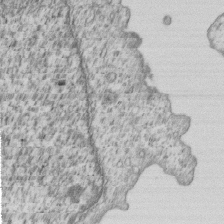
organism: Human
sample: MDA-MB-231 cells